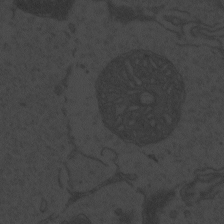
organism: Zebrafish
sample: Macrophage infected with Toxoplasma gondii